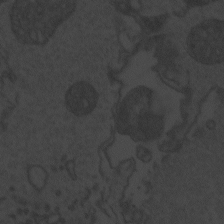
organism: Zebrafish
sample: Macrophage infected with Toxoplasma gondii